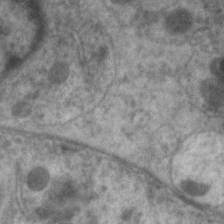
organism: C. elegans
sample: Pharynx